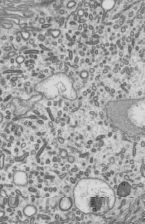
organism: Mouse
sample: Mouse epididymis efferent ductule cilia